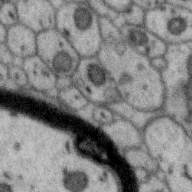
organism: Zebra finch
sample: Brain